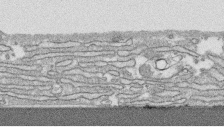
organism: Human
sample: CRL-1474